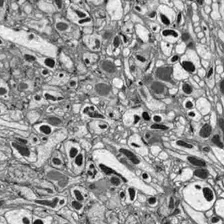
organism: Drosophila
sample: Optic lobe